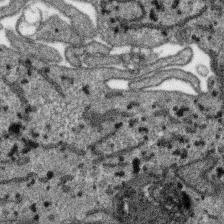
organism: Human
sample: Lung epithelial cells infected with SARS-CoV-2